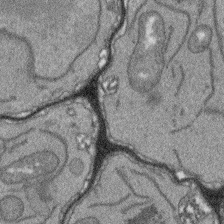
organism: Arabidopsis thaliana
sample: Root tip